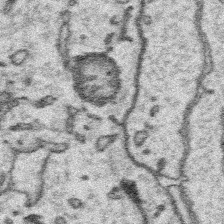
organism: Platynereis dumerilii